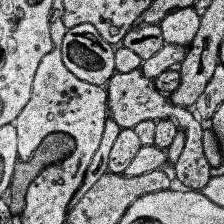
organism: Human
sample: Temporal Lobe